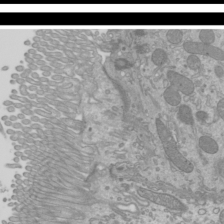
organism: Mouse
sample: Cilia; mouse epididymis